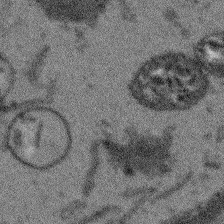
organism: Arabidopsis thaliana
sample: Root tip